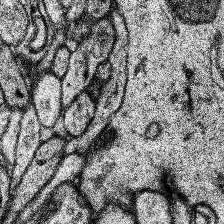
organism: Human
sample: Temporal Lobe